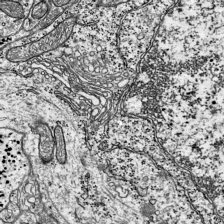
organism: Mouse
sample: Visual Cortex